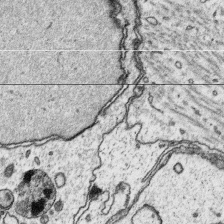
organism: Platynereis dumerilii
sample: Parapodia